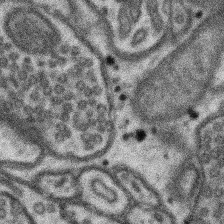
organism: Mouse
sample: Somatosensory cortex neuropil